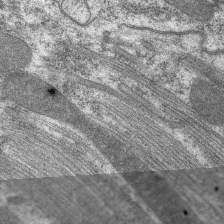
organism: C. elegans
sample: Pharynx